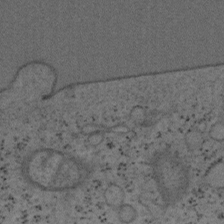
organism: Human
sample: HeLa cells